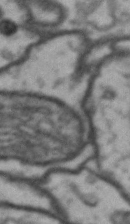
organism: Drosophila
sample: Brain